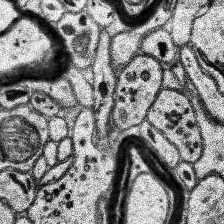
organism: Human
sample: Temporal Lobe